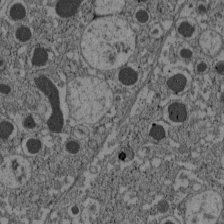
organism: C57BL Mouse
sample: Pancreatic islet